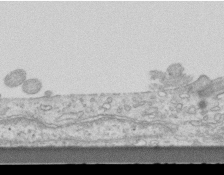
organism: Mouse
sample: Centriole in ependymal cells